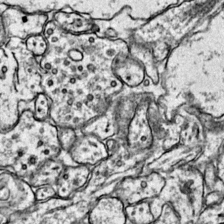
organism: Mouse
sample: Primary visual cortex